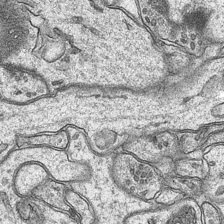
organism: Mouse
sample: CA1 Hippocampus